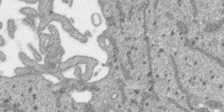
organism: Human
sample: Lung epithelial cells infected with SARS-CoV-2